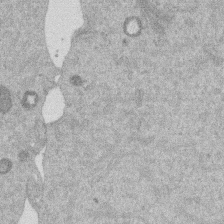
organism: Mouse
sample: Dividing mouse embryo 1 cell stage